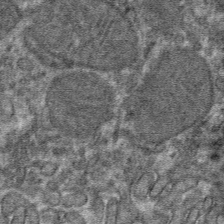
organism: Mouse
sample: Mouse hepatocytes